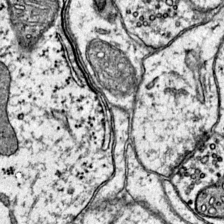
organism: Mouse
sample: Primary visual cortex